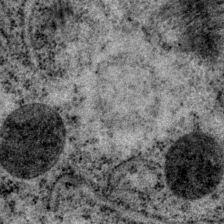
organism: P. pacificus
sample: Pharynx